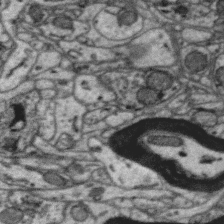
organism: Zebra finch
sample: Brain